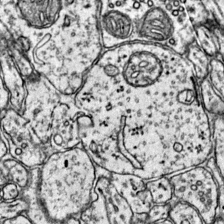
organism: Mouse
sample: Primary visual cortex